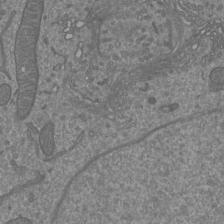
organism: Mouse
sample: Cortical neurons